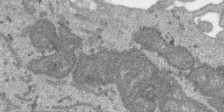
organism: Human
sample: Lung epithelial cells infected with SARS-CoV-2